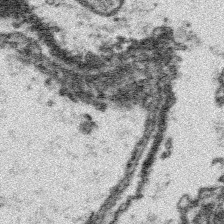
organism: Platynereis dumerilii